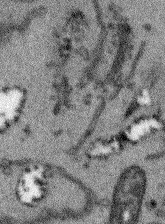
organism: Arabidopsis thaliana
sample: Root tip